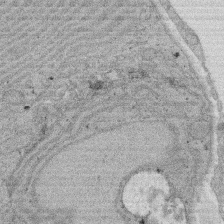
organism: Rat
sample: Salivary granule